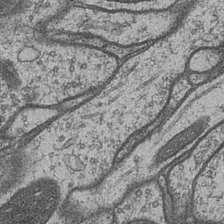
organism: Drosophila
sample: Optic medulla